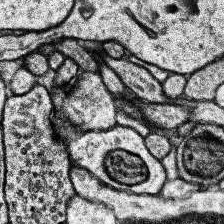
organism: Human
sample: Temporal Lobe